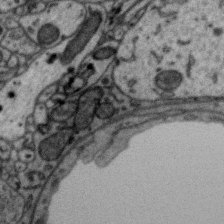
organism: Zebra finch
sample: Brain